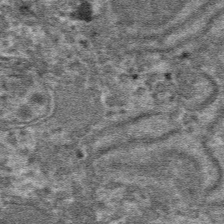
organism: Mouse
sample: Mouse hepatocytes